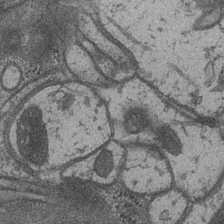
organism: Drosophila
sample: Optic medulla